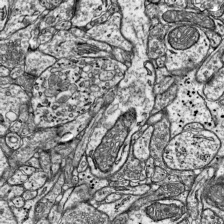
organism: Mouse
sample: Visual Cortex